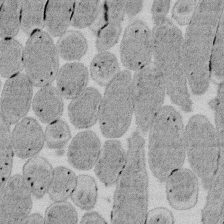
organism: E. coli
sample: Bacterial nucleoid